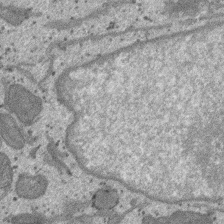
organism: Human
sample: Lung epithelial cells infected with SARS-CoV-2